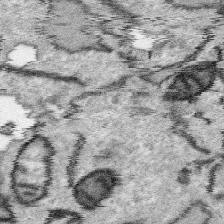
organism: Human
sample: HeLa cells